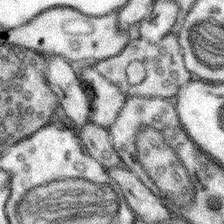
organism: Mouse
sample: Somatosensory cortex neuropil